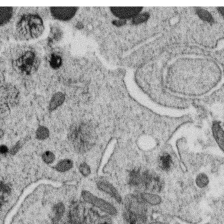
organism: C. elegans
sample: C. elegans oocyte; sperm cells